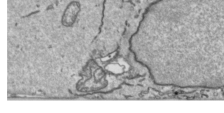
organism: Human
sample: Mitochondria in HCT116 cells